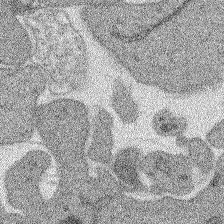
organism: Human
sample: HeLa cells